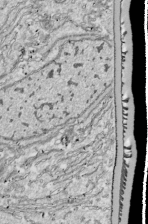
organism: Drosophila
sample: Cell division; meiosis; drosophila spermatocytes